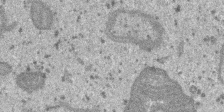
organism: Human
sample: Lung epithelial cells infected with SARS-CoV-2